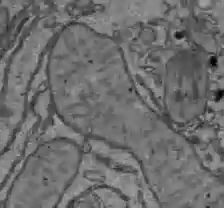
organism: C57BL Mouse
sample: Liver